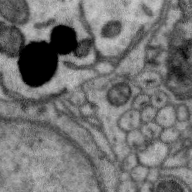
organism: Zebra finch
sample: Brain